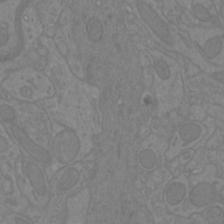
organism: Mouse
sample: Cortical neurons